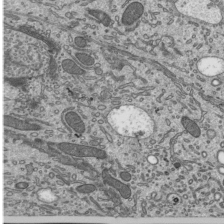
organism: Mouse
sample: Mouse epididymis efferent ductule cilia